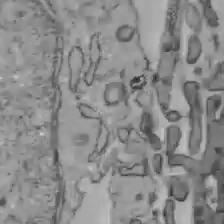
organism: C57BL Mouse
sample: Liver